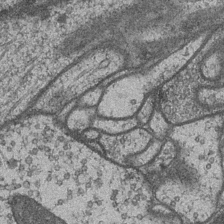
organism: Drosophila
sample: Optic medulla